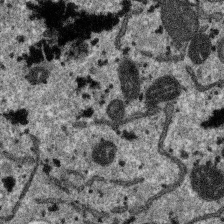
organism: Human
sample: Lung epithelial cells infected with SARS-CoV-2